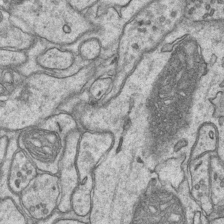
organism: Mouse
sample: CA1 Hippocampus